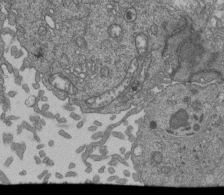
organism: Human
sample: Retinal organoid Rod and Cone cells